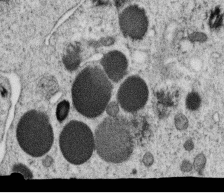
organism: C. elegans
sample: C. elegans oocyte; sperm cells